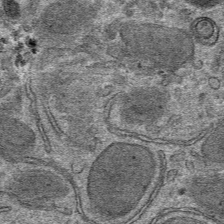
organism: Mouse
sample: Mouse hepatocytes